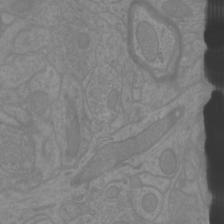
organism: Mouse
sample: Cortical neurons